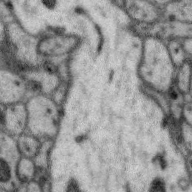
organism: Zebra finch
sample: Brain